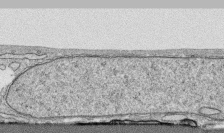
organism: Human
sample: CRL-1474